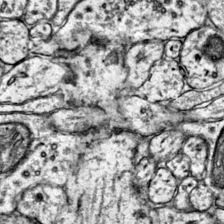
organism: Mouse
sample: Primary visual cortex